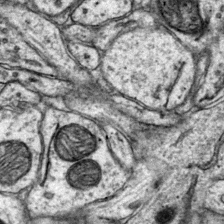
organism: Mouse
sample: Primary visual cortex